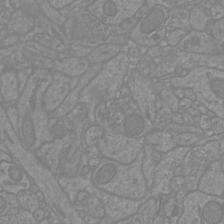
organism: Mouse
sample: Cortical neurons